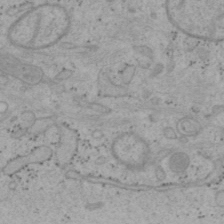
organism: Human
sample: HeLa cells